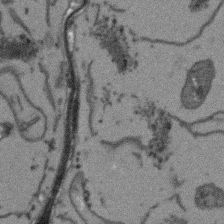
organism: Arabidopsis thaliana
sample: Root tip